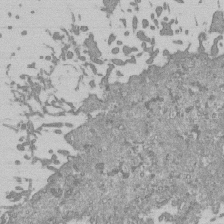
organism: Mouse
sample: ED-1 cell nuclei; centrioles